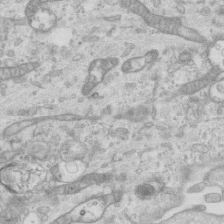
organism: Mouse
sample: Centriole in ependymal cells